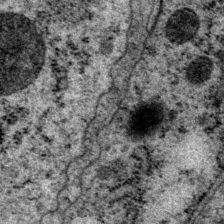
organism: P. pacificus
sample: Pharynx